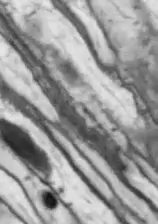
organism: Drosophila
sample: Optic lobe